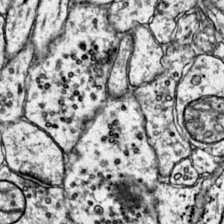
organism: Mouse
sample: Primary visual cortex